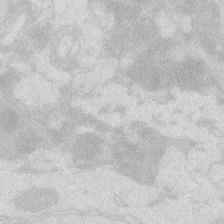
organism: Zebrafish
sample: Macrophage